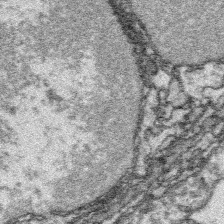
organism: Platynereis dumerilii